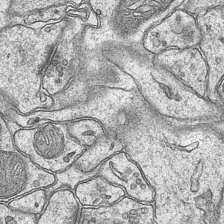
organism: Mouse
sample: CA1 Hippocampus